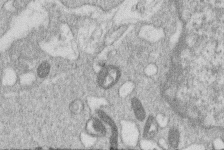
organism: Human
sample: Macrophage cells